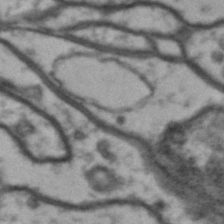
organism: Drosophila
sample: Brain